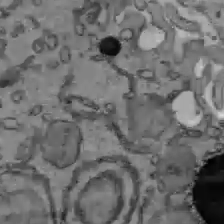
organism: C57BL Mouse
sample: Liver